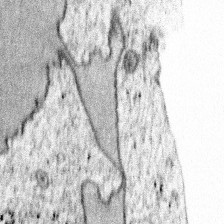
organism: Human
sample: HeLa cells